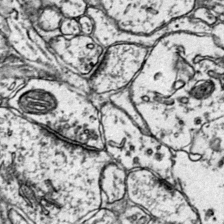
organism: Mouse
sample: Primary visual cortex